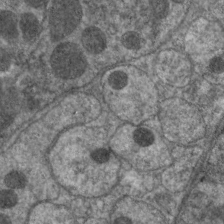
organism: C. elegans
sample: Pharynx